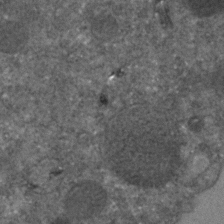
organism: C. elegans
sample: C. elegans embryo